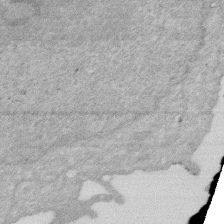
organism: Human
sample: HIV infected U937 cells